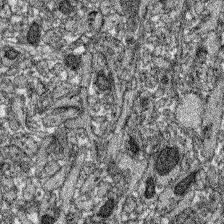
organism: Zebrafish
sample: Larval olfactory bulb